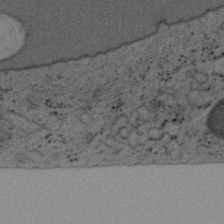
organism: Human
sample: HeLa cells